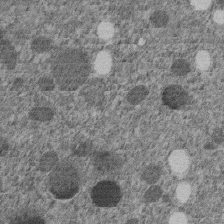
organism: C. elegans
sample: C. elegans embryo early stage